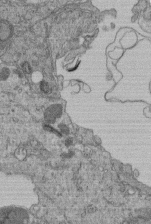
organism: Human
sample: Retinal organoid Rod and Cone cells